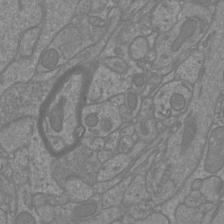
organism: Mouse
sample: Cortical neurons